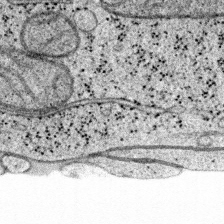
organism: Human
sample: HeLa cells